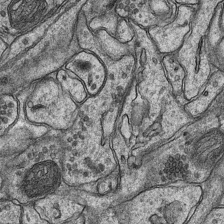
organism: Mouse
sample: CA1 Hippocampus